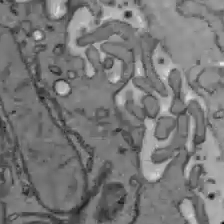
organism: C57BL Mouse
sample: Liver